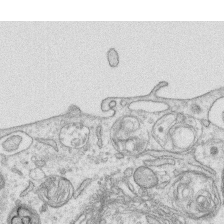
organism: Human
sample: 1205lu cells